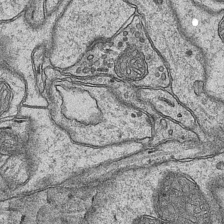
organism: Mouse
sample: CA1 Hippocampus